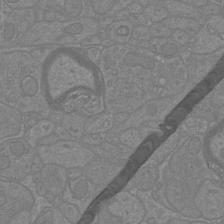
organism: Mouse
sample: Cortical neurons